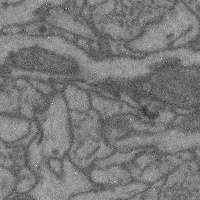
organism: Mouse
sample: Cerebral cortex